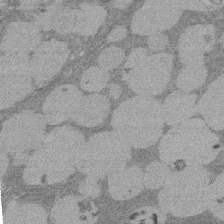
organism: Rat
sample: Salivary granule